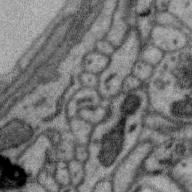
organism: Zebra finch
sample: Brain